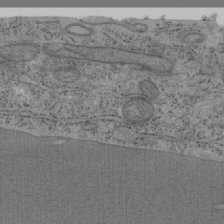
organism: Human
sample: HeLa cells